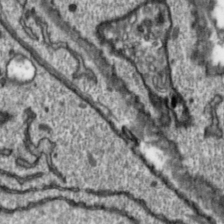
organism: Toxoplasma gondii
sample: Parasites in a vacuole inside a host cell